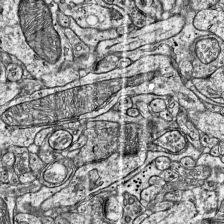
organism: Mouse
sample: Visual Cortex